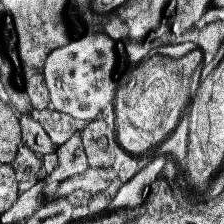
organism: Human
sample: Temporal Lobe